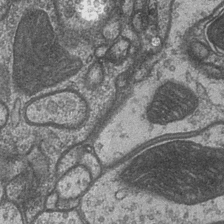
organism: Drosophila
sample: Optic medulla